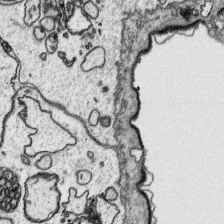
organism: Platynereis dumerilii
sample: Parapodia